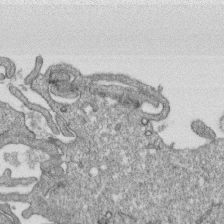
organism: African green monkey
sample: Vero E6 cells infected with SARS-CoV-2